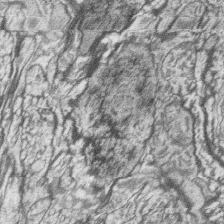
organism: Zebrafish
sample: synaptic ribbons in rod cells and cone cells